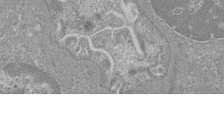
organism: Mouse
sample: Glomerulus